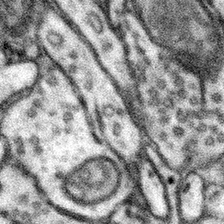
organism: Mouse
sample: Somatosensory cortex neuropil